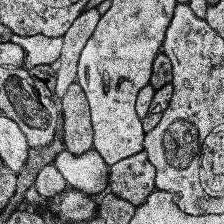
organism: Human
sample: Temporal Lobe